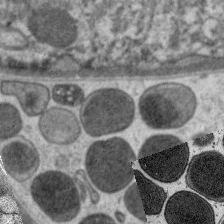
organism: C. elegans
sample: Pharynx